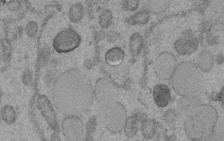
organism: C. elegans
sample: C. elegans embryo early stage